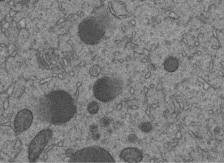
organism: C. elegans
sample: C. elegans embryo early stage